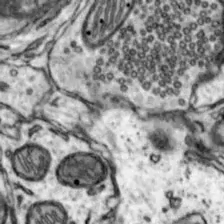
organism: Mouse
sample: Nucleus accumbens